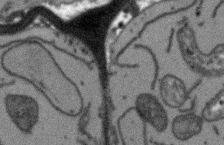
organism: Arabidopsis thaliana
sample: Root tip